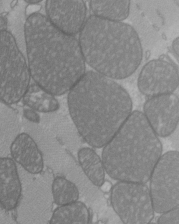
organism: C57BL Mouse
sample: Heart